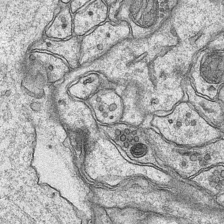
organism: Mouse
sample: CA1 Hippocampus